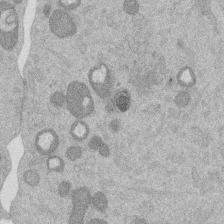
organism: Mouse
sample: Dividing mouse embryo 1 cell stage